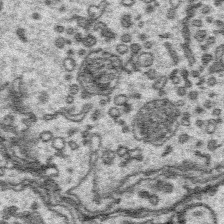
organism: Platynereis dumerilii